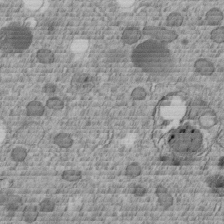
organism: C. elegans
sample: C. elegans embryo early stage